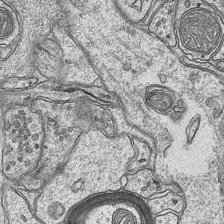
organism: Mouse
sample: CA1 Hippocampus